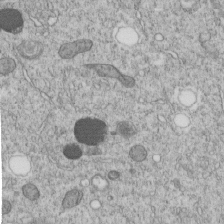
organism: C. elegans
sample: C. elegans embryo early stage